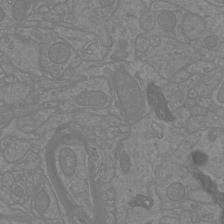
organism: Mouse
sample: Cortical neurons